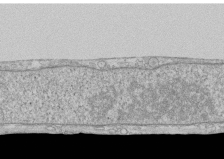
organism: Human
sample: CRL-1474